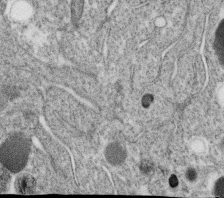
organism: C. elegans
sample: C. elegans oocyte; sperm cells